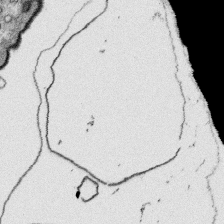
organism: Platynereis dumerilii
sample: Parapodia